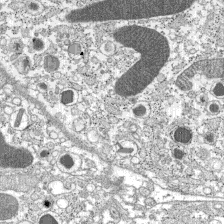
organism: C57BL Mouse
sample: Pancreatic islet